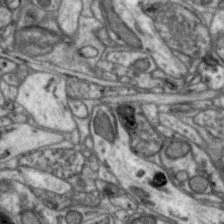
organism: Zebra finch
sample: Brain